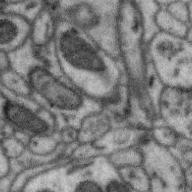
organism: Zebra finch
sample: Brain